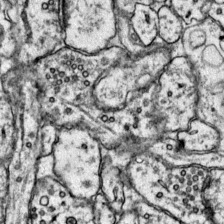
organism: Mouse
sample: Primary visual cortex